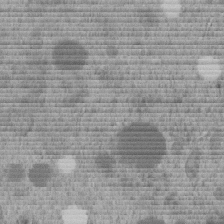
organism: C. elegans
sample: C. elegans embryo early stage